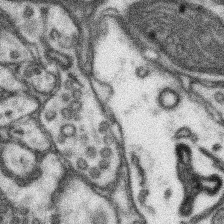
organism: Mouse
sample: Somatosensory cortex neuropil